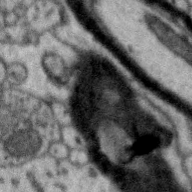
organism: Zebra finch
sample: Brain